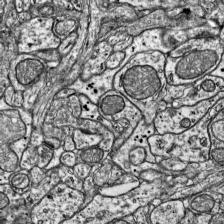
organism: Mouse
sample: Visual Cortex